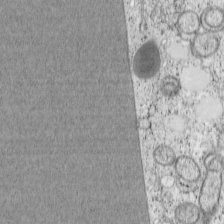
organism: African green monkey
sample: COS-7 cells